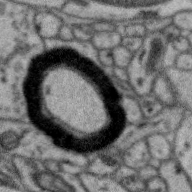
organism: Zebra finch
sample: Brain